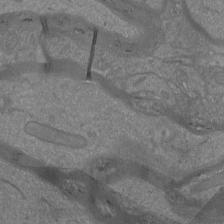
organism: Mouse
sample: Cortical neurons